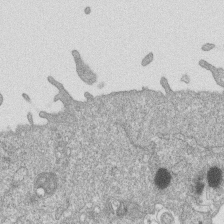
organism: Human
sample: HeLa cell HIV synapse